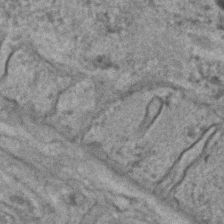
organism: C. elegans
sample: C. elegans embryo